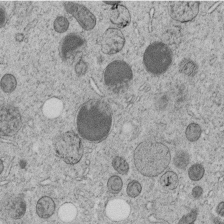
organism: C. elegans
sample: C. elegans embryo early stage